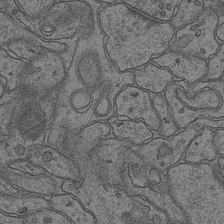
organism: Mouse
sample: CA1 Hippocampus